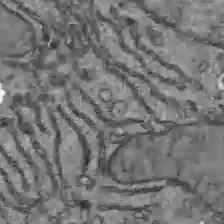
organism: C57BL Mouse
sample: Liver